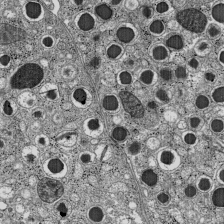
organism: C57BL Mouse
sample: Pancreatic islet